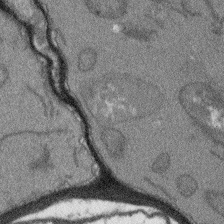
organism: Arabidopsis thaliana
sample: Root tip